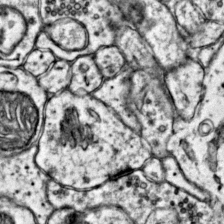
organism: Mouse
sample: Primary visual cortex